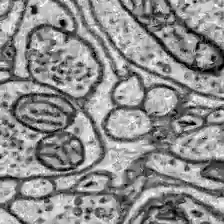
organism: Zebrafish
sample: Brain